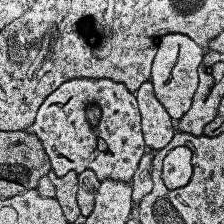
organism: Human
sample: Temporal Lobe